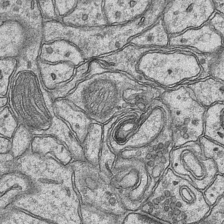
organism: Mouse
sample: CA1 Hippocampus